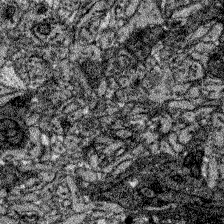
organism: Zebrafish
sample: Larval olfactory bulb